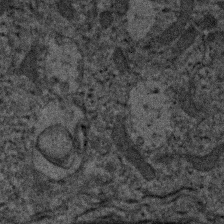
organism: Human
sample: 1205lu cells